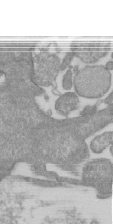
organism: Mouse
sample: ED-1 cell nuclei; centrioles